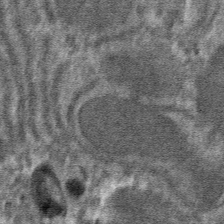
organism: Mouse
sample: Mouse hepatocytes